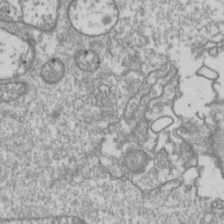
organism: Drosophila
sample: Cell division; meiosis; drosophila spermatocytes